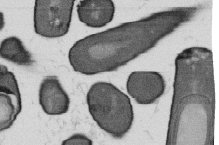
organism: B. subtilis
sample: Bacterial spore